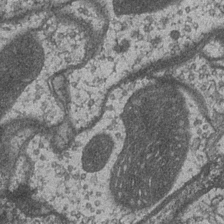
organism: Drosophila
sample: Optic medulla